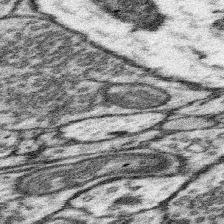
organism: Mouse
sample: Somatosensory cortex neuropil